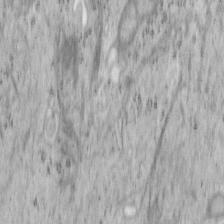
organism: Human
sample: HeLa cells